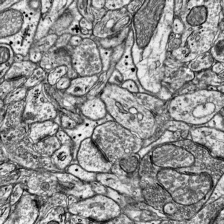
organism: Mouse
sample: Visual Cortex